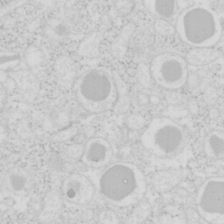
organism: Mouse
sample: Pancreas